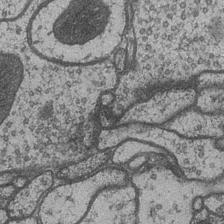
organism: Drosophila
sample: Optic medulla